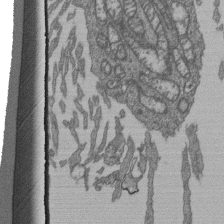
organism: Human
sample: Retinal organoid Rod and Cone cells